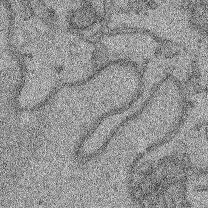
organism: Human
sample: HeLa cells